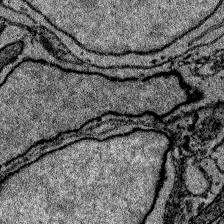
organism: Zebrafish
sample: Larval olfactory bulb